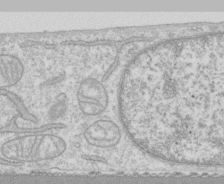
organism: Human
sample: CRL-1474